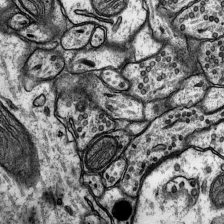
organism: Rat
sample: Hippocampus